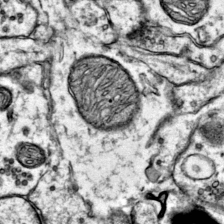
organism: Mouse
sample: Primary visual cortex